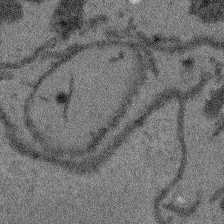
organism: Arabidopsis thaliana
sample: Root tip